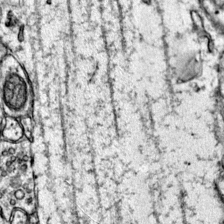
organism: Mouse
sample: Primary visual cortex